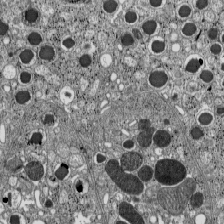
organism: C57BL Mouse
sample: Pancreatic islet